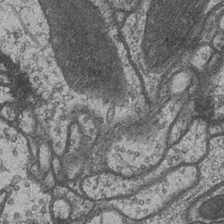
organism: Drosophila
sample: Optic medulla